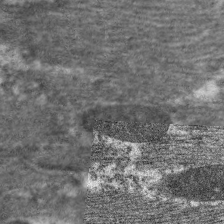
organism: C. elegans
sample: Pharynx